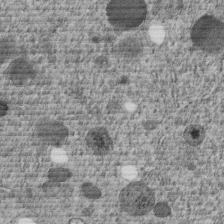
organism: C. elegans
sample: C. elegans embryo early stage